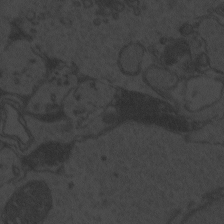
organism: Zebrafish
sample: Macrophage infected with Toxoplasma gondii